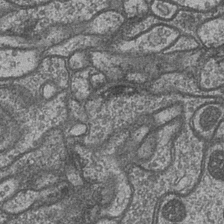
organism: Drosophila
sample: Optic medulla